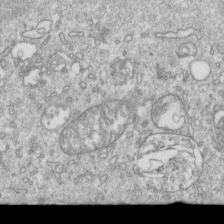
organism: Mouse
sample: Activated OT-1 CD8+ T cells